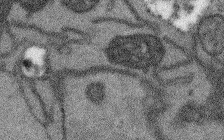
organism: Arabidopsis thaliana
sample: Root tip